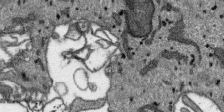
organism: Human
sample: Lung epithelial cells, uninfected (mock) control